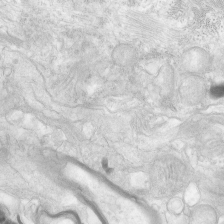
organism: Human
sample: Neocortex